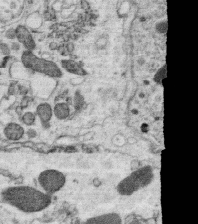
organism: C. elegans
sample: C. elegans oocyte; sperm cells